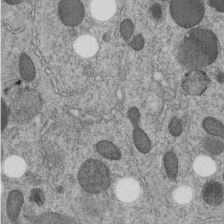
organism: C. elegans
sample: C. elegans embryo early stage